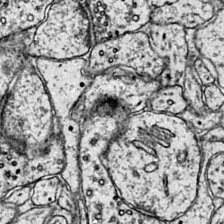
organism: Mouse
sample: Primary visual cortex